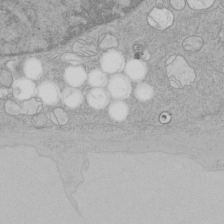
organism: Human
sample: Mitochondria in HCT116 cells